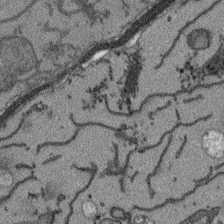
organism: Arabidopsis thaliana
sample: Root tip